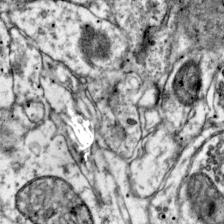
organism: Mouse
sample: Primary visual cortex